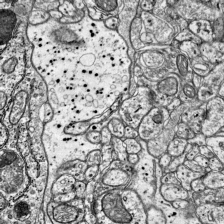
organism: Mouse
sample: Visual Cortex